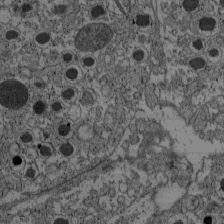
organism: C57BL Mouse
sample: Pancreatic islet